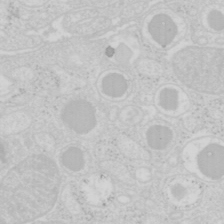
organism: Mouse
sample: Pancreas